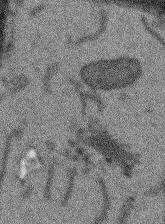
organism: Arabidopsis thaliana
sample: Root tip